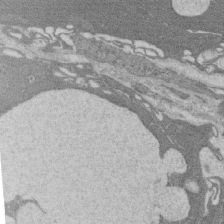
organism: Rat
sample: Salivary granule